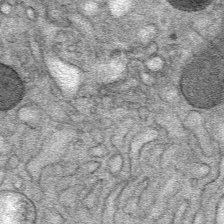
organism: Mouse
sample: Mouse Salivary gland